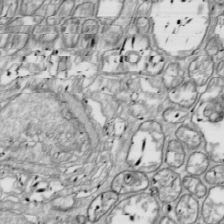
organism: Drosophila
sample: Cell division; meiosis; drosophila spermatocytes